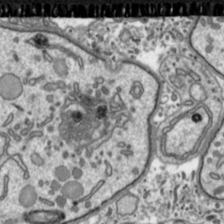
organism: Toxoplasma gondii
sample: Parasites in a vacuole inside a host cell